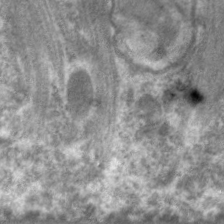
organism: C. elegans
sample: Pharynx